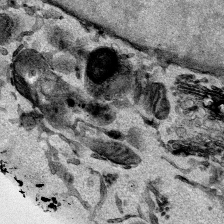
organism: Mouse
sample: Cancer cell death in ED-1 cells